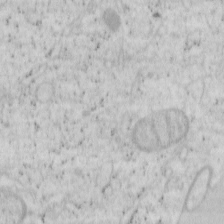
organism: Human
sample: HeLa cells